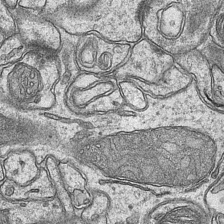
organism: Mouse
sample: CA1 Hippocampus